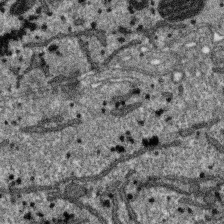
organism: Human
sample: Lung epithelial cells infected with SARS-CoV-2